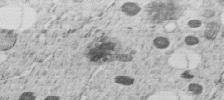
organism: C. elegans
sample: C. elegans embryo early stage